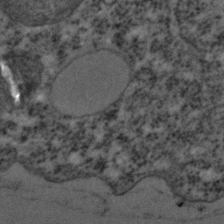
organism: C. elegans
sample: C. elegans embryo